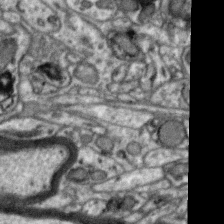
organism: Zebra finch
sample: Brain